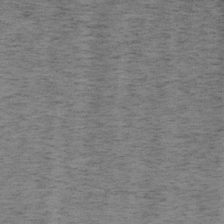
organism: Mouse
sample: OT-I killer T cells with ID8 ovarian cancer cells